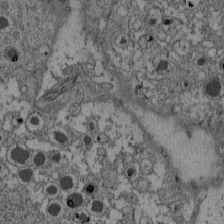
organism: C57BL Mouse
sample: Pancreatic islet